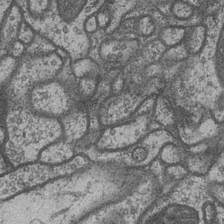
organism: Drosophila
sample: Optic medulla